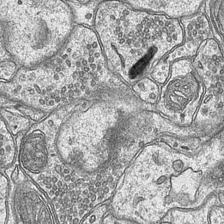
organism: Mouse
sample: CA1 Hippocampus